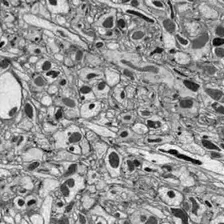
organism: Drosophila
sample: Optic lobe